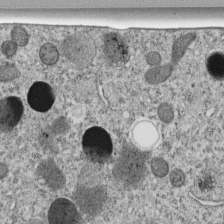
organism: C. elegans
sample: C. elegans embryo early stage